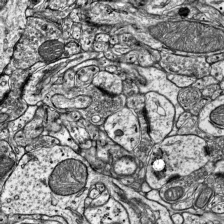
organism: Mouse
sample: Visual Cortex